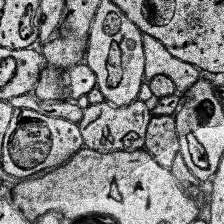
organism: Human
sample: Temporal Lobe